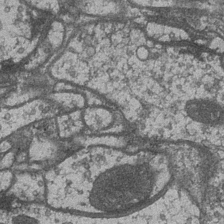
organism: Drosophila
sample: Optic medulla